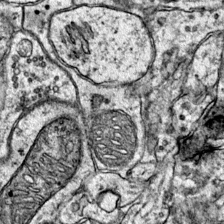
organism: Mouse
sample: Primary visual cortex